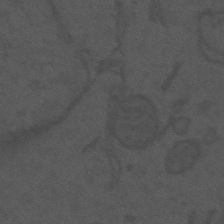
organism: Mouse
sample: Suprachiasmatic nucleus